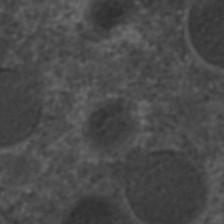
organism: C. elegans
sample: C. elegans embryo